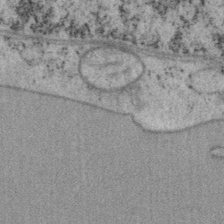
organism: Human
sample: HeLa cells